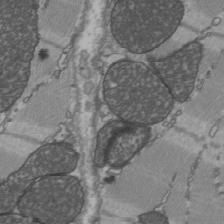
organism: C57BL Mouse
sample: Heart